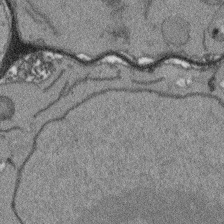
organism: Arabidopsis thaliana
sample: Root tip